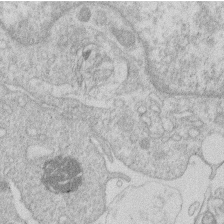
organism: Human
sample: Macrophage cells